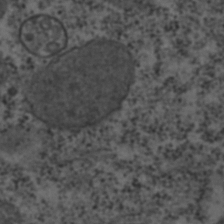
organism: C. elegans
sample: C. elegans embryo